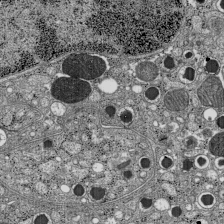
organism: C57BL Mouse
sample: Pancreatic islet